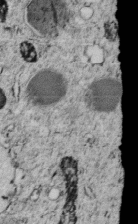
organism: C. elegans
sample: C. elegans embryo early stage